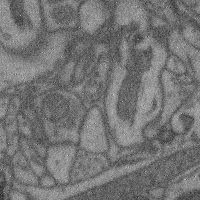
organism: Mouse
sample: Cerebral cortex